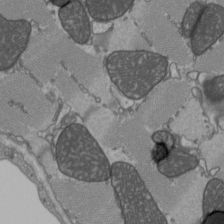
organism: C57BL Mouse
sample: Heart